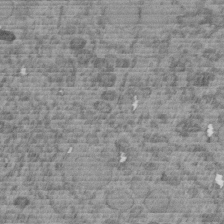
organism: C. elegans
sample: C. elegans embryo early stage